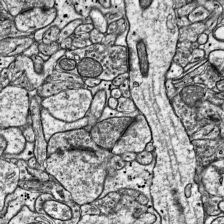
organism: Mouse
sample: Visual Cortex